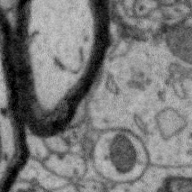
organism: Zebra finch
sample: Brain